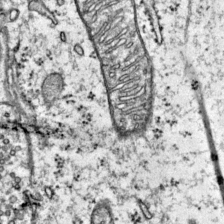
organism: Mouse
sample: Primary visual cortex